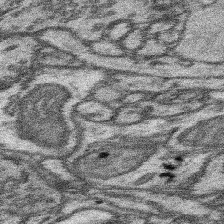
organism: Mouse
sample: Somatosensory cortex neuropil